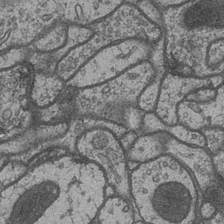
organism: Drosophila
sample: Optic medulla